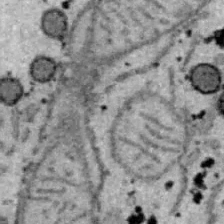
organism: Mouse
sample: Liver from an obese (ob/ob) mouse